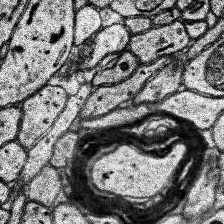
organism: Human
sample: Temporal Lobe